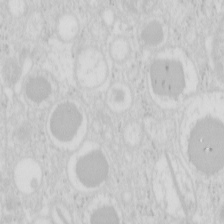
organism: Mouse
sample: Pancreas